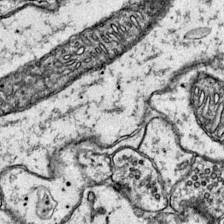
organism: Mouse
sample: Primary visual cortex